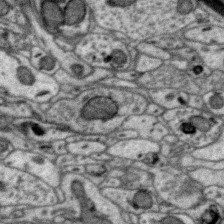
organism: Zebra finch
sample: Brain